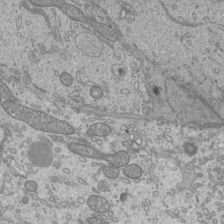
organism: Mouse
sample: Cilia; mouse epididymis